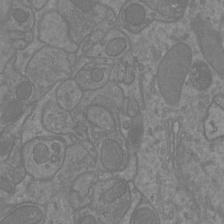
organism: Mouse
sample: Cortical neurons